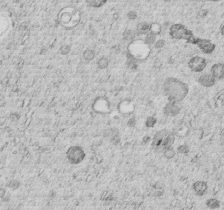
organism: C. elegans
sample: C. elegans embryo early stage